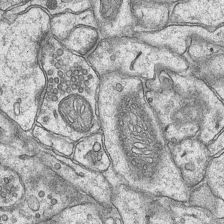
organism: Mouse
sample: CA1 Hippocampus